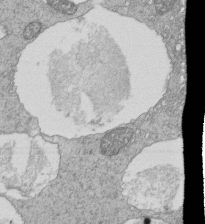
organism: Tetrahymena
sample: Cilia in tetrahymena